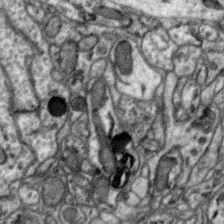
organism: Zebra finch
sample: Brain